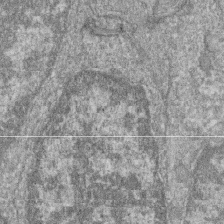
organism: Zebrafish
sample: Cilia; retinal pigment epithelium